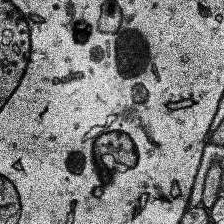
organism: Human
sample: Temporal Lobe